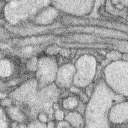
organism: Rabbit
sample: Retina